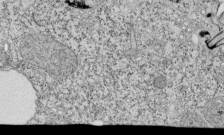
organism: Tetrahymena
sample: Cilia in tetrahymena